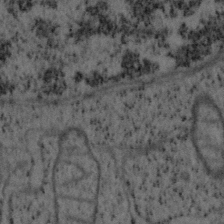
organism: Human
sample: HeLa cells